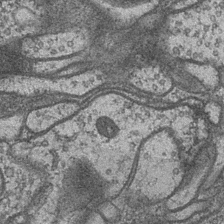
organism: Drosophila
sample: Optic medulla